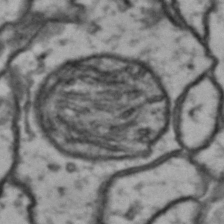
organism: Drosophila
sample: Brain